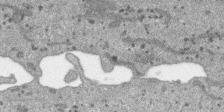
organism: Human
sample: Lung epithelial cells infected with SARS-CoV-2